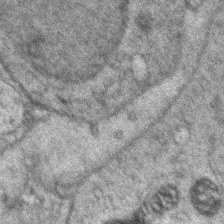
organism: Zebrafish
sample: Zebrafish embryo